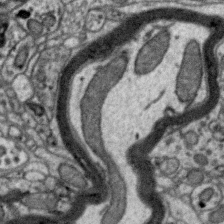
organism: Zebra finch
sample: Brain